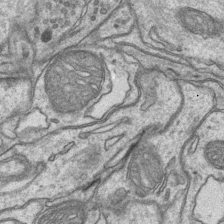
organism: Mouse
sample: CA1 Hippocampus